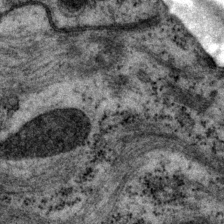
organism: P. pacificus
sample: Pharynx